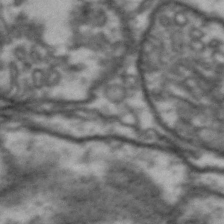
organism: Drosophila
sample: Brain